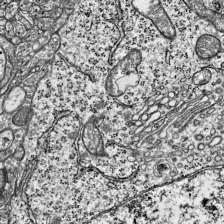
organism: Mouse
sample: Visual Cortex